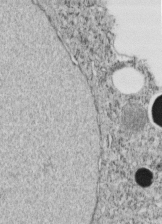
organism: C. elegans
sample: C. elegans embryo early stage